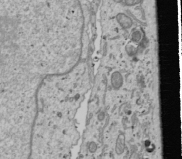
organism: Human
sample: Mitochondria in U2OS cells